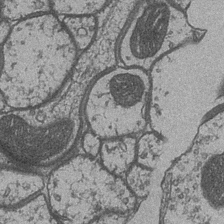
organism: Drosophila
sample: Optic medulla